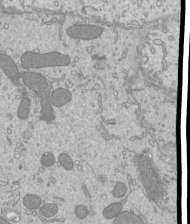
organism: Mouse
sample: Cilia; mouse epididymis